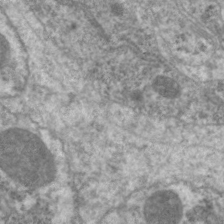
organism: C. elegans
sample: Pharynx